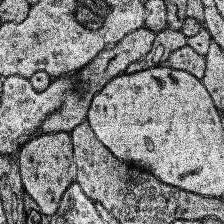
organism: Human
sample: Temporal Lobe